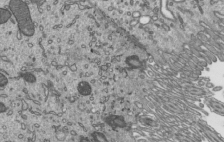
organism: Mouse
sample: Mouse epididymis efferent ductule cilia